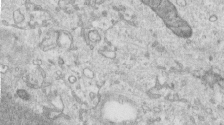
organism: Human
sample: Centriole in RPE cells